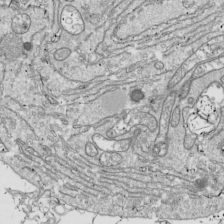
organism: Drosophila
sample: Cell division; meiosis; drosophila spermatocytes